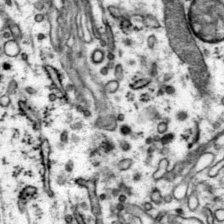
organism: Mouse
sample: Primary visual cortex